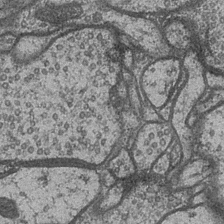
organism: Drosophila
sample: Optic medulla